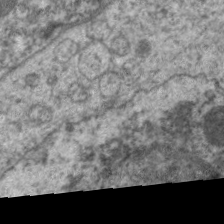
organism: C. elegans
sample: Pharynx